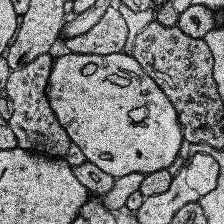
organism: Human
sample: Temporal Lobe